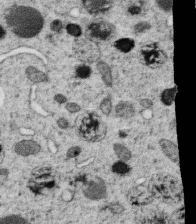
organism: C. elegans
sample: C. elegans oocyte; sperm cells